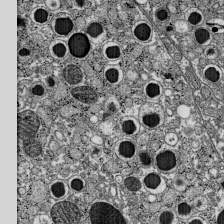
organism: C57BL Mouse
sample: Pancreatic islet